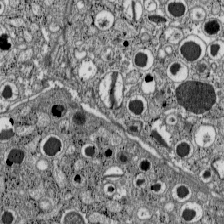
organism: C57BL Mouse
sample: Pancreatic islet